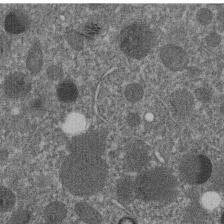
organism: C. elegans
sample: C. elegans embryo early stage